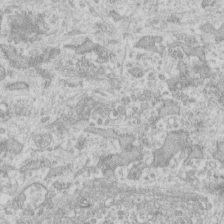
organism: Human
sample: Fibroblast cells